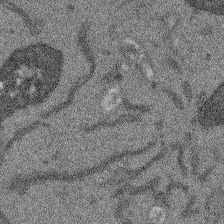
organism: Arabidopsis thaliana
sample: Root tip